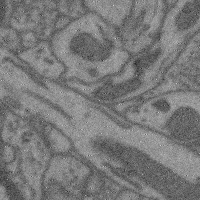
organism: Mouse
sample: Cerebral cortex